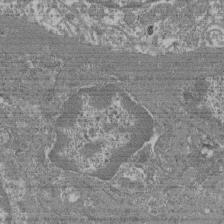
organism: Mouse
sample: Glomerulus